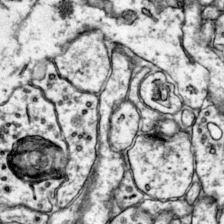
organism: Mouse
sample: Primary visual cortex